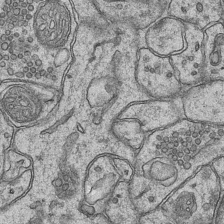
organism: Mouse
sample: CA1 Hippocampus